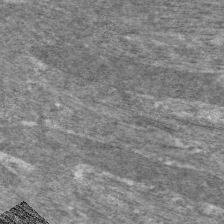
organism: C. elegans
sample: Pharynx